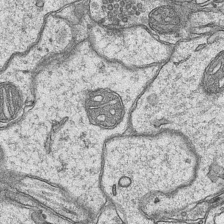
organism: Mouse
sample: CA1 Hippocampus